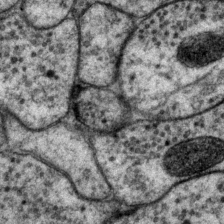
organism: P. pacificus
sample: Pharynx